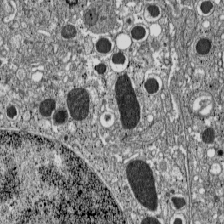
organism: C57BL Mouse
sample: Pancreatic islet